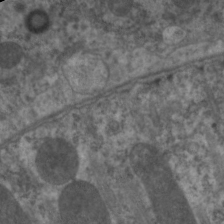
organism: C. elegans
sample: Pharynx